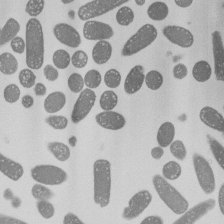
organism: E. coli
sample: Bacterial nucleoid